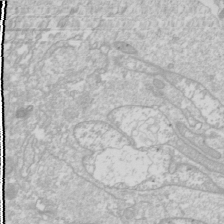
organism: Drosophila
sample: Cell division; meiosis; drosophila spermatocytes